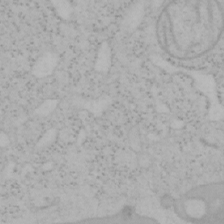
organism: Mouse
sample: OT-I killer T cells with ID8 ovarian cancer cells